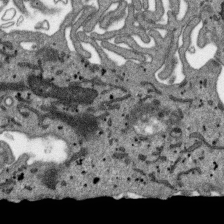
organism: Human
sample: Lung epithelial cells, uninfected (mock) control